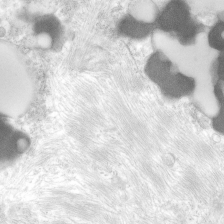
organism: Human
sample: Neocortex